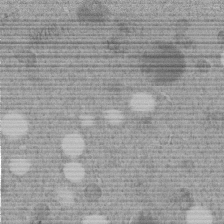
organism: C. elegans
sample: C. elegans embryo early stage